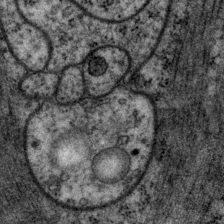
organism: P. pacificus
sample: Pharynx